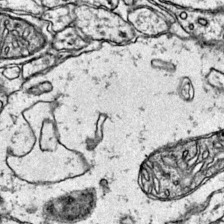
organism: Mouse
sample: Primary visual cortex